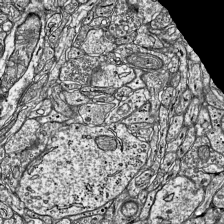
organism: Mouse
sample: Visual Cortex